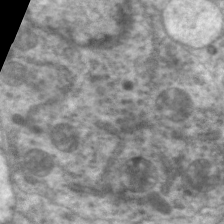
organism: C. elegans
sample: Pharynx